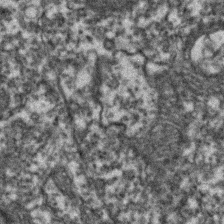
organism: Zebrafish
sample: Zebrafish embryo